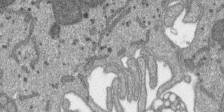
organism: Human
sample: Lung epithelial cells infected with SARS-CoV-2